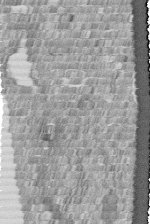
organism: Human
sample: Centriole in fibroblast cells